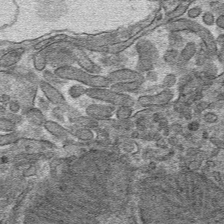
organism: Mouse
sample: Mouse hepatocytes